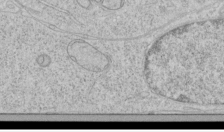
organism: Human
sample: Mitochondria in HCT116 cells